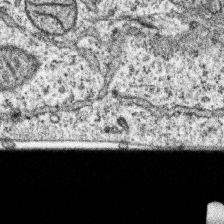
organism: Human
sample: HeLa cells